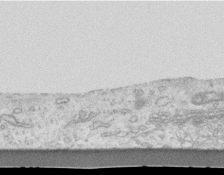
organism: Mouse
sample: Centriole in ependymal cells